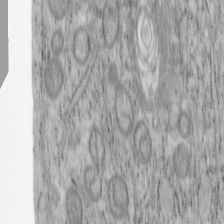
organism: Human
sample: HeLa cells